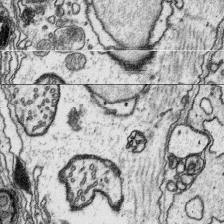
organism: Platynereis dumerilii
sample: Parapodia